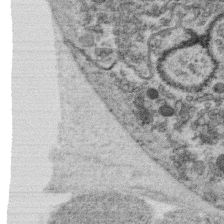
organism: C. elegans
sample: C. elegans oocyte; sperm cells